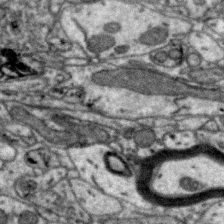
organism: Zebra finch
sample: Brain